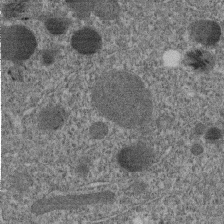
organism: C. elegans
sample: C. elegans embryo early stage